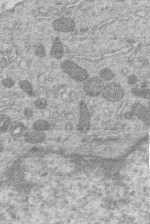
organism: Human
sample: Macrophage cells